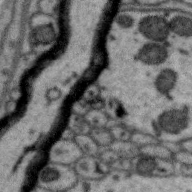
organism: Zebra finch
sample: Brain